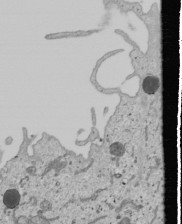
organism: Human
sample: Mitochondria in U2OS cells